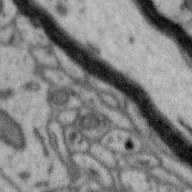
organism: Zebra finch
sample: Brain